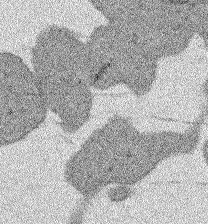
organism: Human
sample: HeLa cells